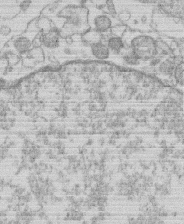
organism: Human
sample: Macrophage cells